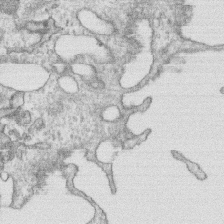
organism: Human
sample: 1205lu cells